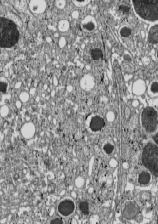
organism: C57BL Mouse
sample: Pancreatic islet